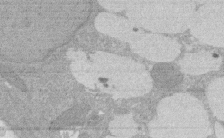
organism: Rat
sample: Salivary granule